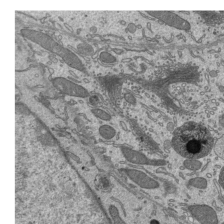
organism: Mouse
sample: Mouse epididymis efferent ductule cilia